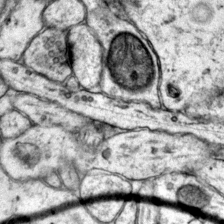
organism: Mouse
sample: Primary visual cortex